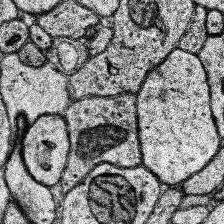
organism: Human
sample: Temporal Lobe